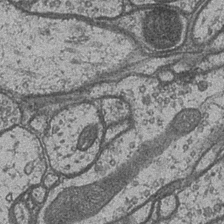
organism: Drosophila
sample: Optic medulla